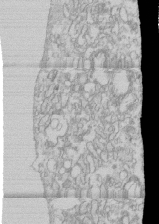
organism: Human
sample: CRL-1474